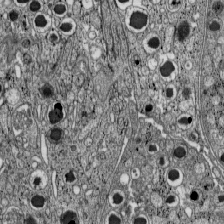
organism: C57BL Mouse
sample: Pancreatic islet